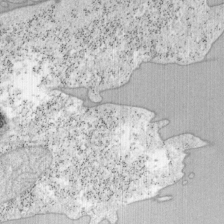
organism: Mouse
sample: OT-I killer T cells with ID8 ovarian cancer cells